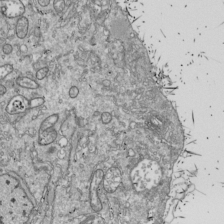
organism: Drosophila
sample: Cell division; meiosis; drosophila spermatocytes